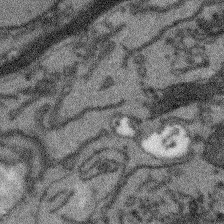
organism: Arabidopsis thaliana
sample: Root tip